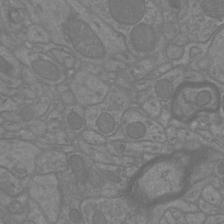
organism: Mouse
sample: Cortical neurons